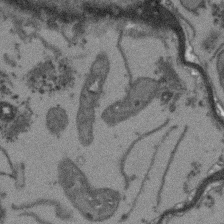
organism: Arabidopsis thaliana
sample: Root tip